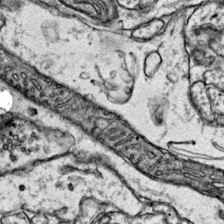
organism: Mouse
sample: Primary visual cortex